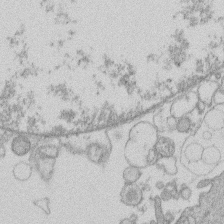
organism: Human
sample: Macrophage cells